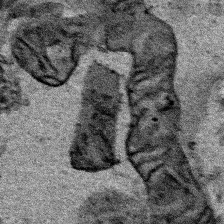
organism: Human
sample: Mitochondria in HCT116 cells